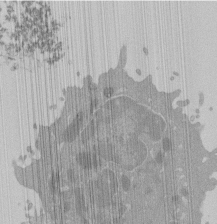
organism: Mouse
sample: Activated Pmel transgenic CD8+ T Cells